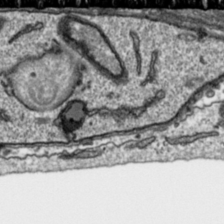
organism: Toxoplasma gondii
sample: Parasites in a vacuole inside a host cell